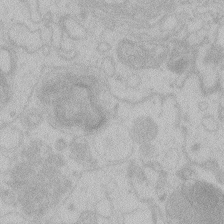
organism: Zebrafish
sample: Macrophage infected with Toxoplasma gondii